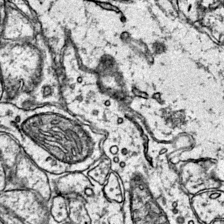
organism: Mouse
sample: Primary visual cortex